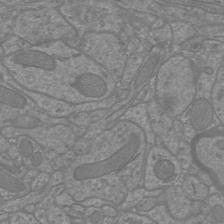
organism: Mouse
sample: Cortical neurons